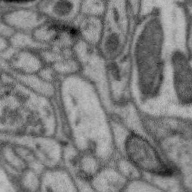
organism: Zebra finch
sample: Brain